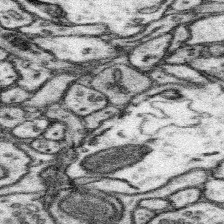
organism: Mouse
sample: Somatosensory cortex neuropil